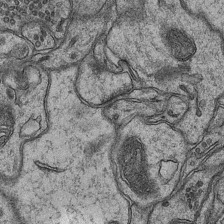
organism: Mouse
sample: CA1 Hippocampus